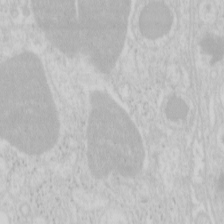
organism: Mouse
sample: Pancreas